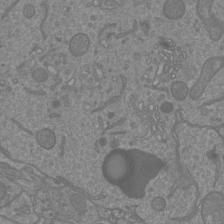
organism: Mouse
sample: Cortical neurons